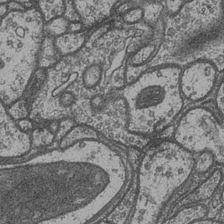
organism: Drosophila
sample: Optic medulla